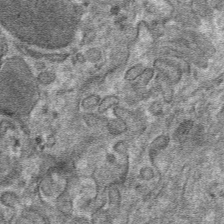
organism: Mouse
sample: Mouse hepatocytes